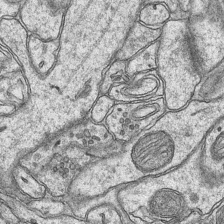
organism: Mouse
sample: CA1 Hippocampus